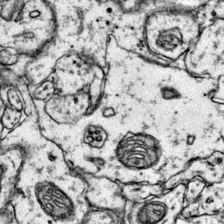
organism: Mouse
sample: Primary visual cortex